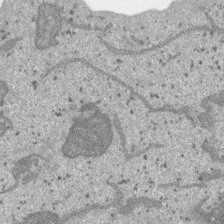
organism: Human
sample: Lung epithelial cells infected with SARS-CoV-2